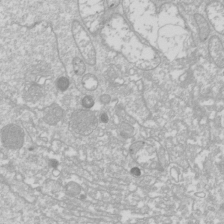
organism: Drosophila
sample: Cell division; meiosis; drosophila spermatocytes